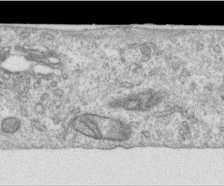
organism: Human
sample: Centriole in RPE cells